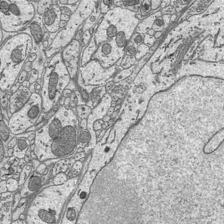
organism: Mouse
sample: Suprachiasmatic nucleus